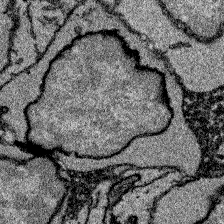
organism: Zebrafish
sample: Larval olfactory bulb